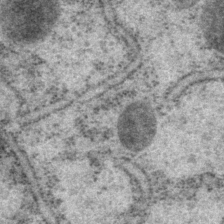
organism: P. pacificus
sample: Pharynx